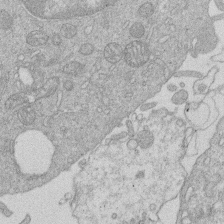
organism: Human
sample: Macrophage cells